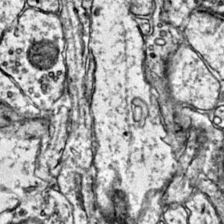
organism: Mouse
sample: Primary visual cortex